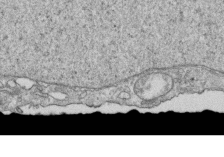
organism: Human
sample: HeLa cell HIV synapse